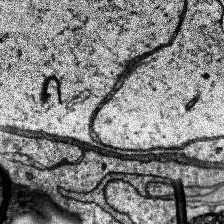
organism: Human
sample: Temporal Lobe